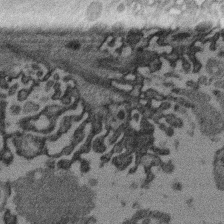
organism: Mouse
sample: Dividing mouse embryo 1 cell stage